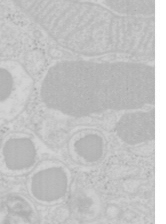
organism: Mouse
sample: Pancreas